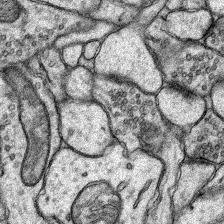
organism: Rat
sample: Hippocampus